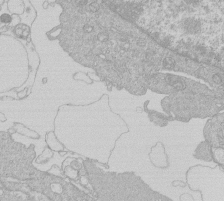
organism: Human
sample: Macrophage cells